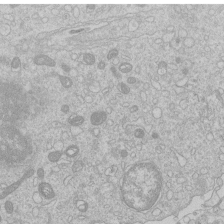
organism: Human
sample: Macrophage cells